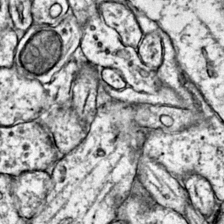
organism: Mouse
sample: Primary visual cortex